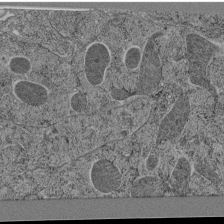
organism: C. elegans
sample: C. elegans pharynx